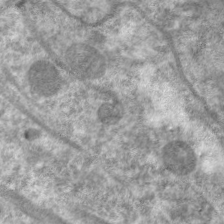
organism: C. elegans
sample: Pharynx